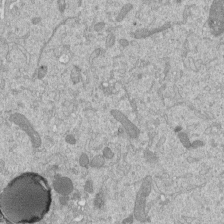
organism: Mouse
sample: ED-1 cell nuclei; centrioles